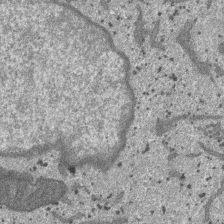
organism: Human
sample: Lung epithelial cells infected with SARS-CoV-2